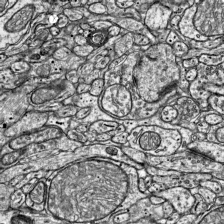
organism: Mouse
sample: Visual Cortex